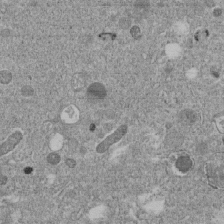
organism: C. elegans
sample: C. elegans embryo early stage